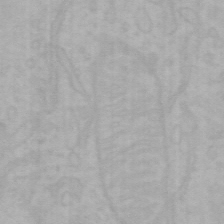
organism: Mouse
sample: Choroid plexus